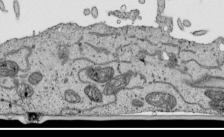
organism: Human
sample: Mitochondria in HCT116 cells